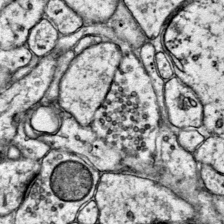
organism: Mouse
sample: Primary visual cortex